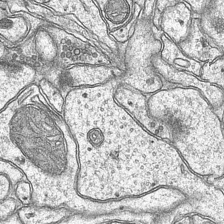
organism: Mouse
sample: CA1 Hippocampus